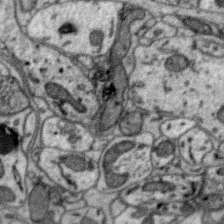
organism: Zebra finch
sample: Brain